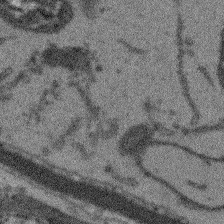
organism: Arabidopsis thaliana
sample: Root tip